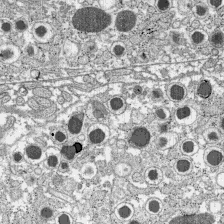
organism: C57BL Mouse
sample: Pancreatic islet